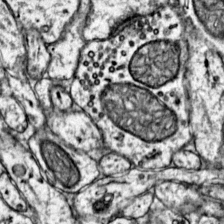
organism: Mouse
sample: Primary visual cortex